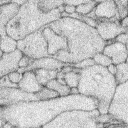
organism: Rabbit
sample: Retina